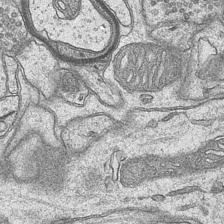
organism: Mouse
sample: CA1 Hippocampus